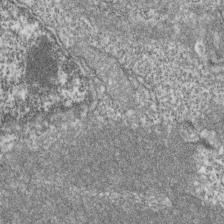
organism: Zebrafish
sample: Cilia; retinal pigment epithelium